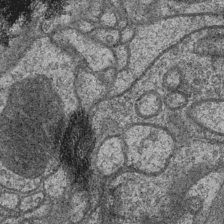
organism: Drosophila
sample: Optic medulla